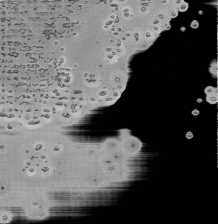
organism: Mouse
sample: Activated Pmel transgenic CD8+ T Cells